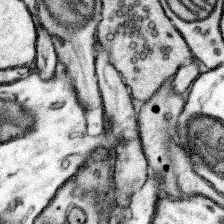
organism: Mouse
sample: Somatosensory cortex neuropil